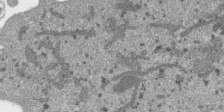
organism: Human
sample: Lung epithelial cells infected with SARS-CoV-2